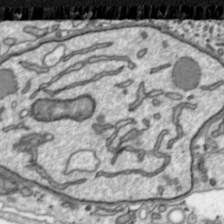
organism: Toxoplasma gondii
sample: Parasites in a vacuole inside a host cell